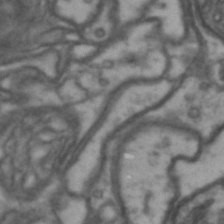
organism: Drosophila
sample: Brain